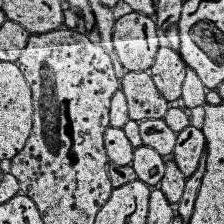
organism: Human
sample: Temporal Lobe